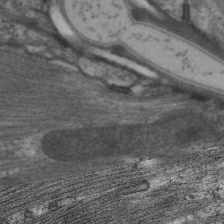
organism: C. elegans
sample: Pharynx